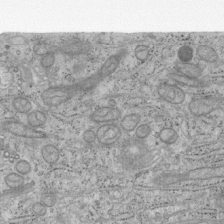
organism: Human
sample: HeLa cells